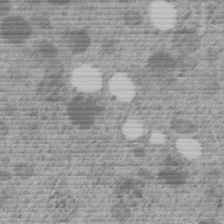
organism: C. elegans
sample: C. elegans embryo early stage